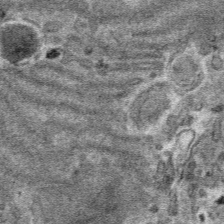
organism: Mouse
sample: Mouse hepatocytes